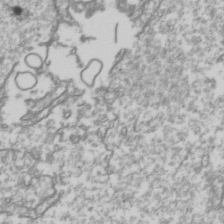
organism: Drosophila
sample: Cell division; meiosis; drosophila spermatocytes